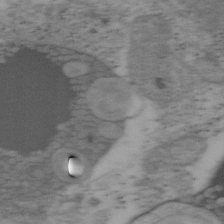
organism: Mouse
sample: OT-I killer T cells with ID8 ovarian cancer cells